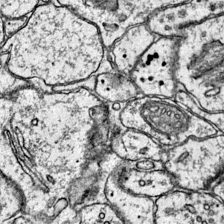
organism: Mouse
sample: Primary visual cortex